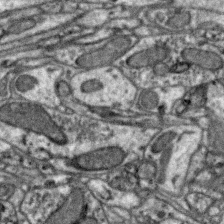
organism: Zebra finch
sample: Brain